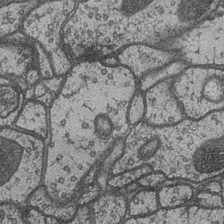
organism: Drosophila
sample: Optic medulla